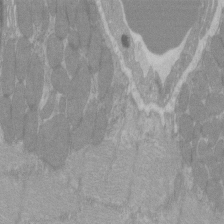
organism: C57BL Mouse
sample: Tibialis anterior muscle cell